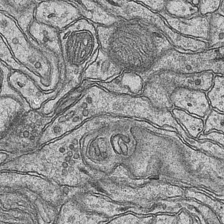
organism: Mouse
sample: CA1 Hippocampus